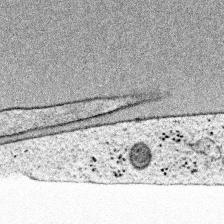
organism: Human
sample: HeLa cells